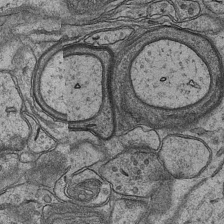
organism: Mouse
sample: CA1 Hippocampus